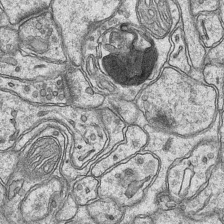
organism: Mouse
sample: CA1 Hippocampus